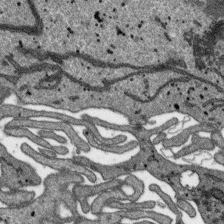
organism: Human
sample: Lung epithelial cells, uninfected (mock) control